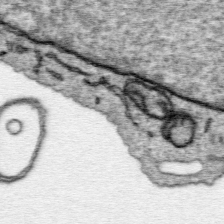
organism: Human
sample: HeLa cells